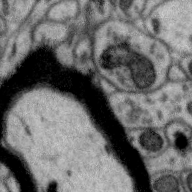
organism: Zebra finch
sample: Brain